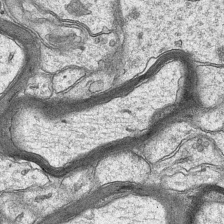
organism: Mouse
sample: CA1 Hippocampus